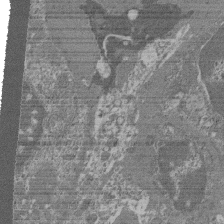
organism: Mouse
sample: Glomerulus